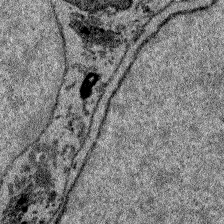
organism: Zebrafish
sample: Larval olfactory bulb